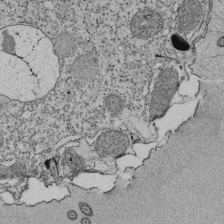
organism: Tetrahymena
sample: Cilia in tetrahymena